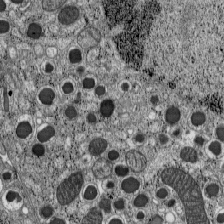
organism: C57BL Mouse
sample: Pancreatic islet